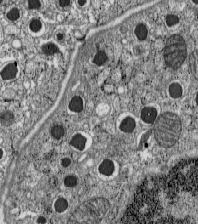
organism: C57BL Mouse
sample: Pancreatic islet